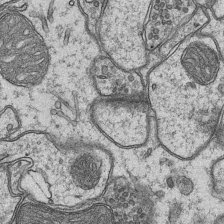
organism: Mouse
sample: CA1 Hippocampus